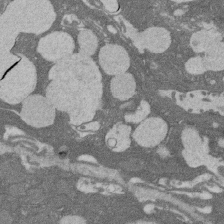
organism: Rat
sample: Salivary granule